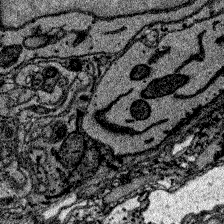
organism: Zebrafish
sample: Larval olfactory bulb